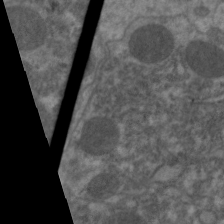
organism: C. elegans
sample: Pharynx